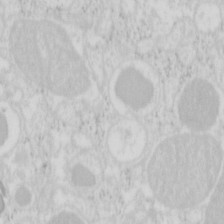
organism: Mouse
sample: Pancreas